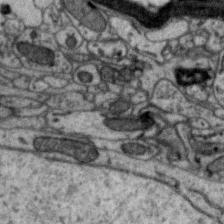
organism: Zebra finch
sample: Brain